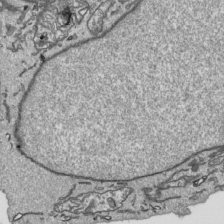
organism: Human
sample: Mitochondria in HCT116 cells